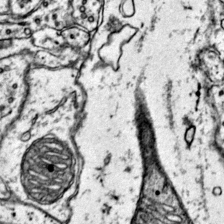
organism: Mouse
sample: Primary visual cortex